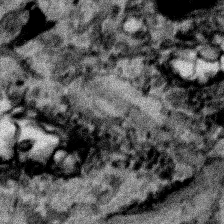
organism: Human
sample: Mitochondria in HCT116 cells